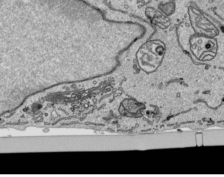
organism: Human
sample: Mitochondria in HCT116 cells